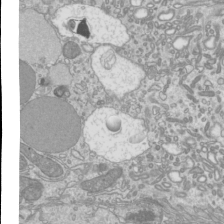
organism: Mouse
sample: Cilia; mouse epididymis